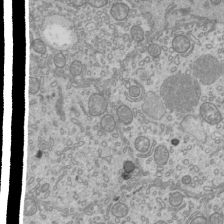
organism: Mouse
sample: Cilia; mouse epididymis